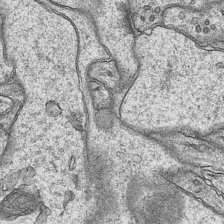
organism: Mouse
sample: CA1 Hippocampus